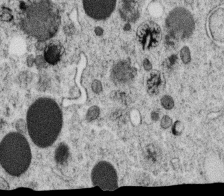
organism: C. elegans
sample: C. elegans oocyte; sperm cells